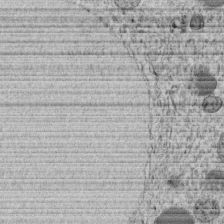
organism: C. elegans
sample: C. elegans embryo early stage